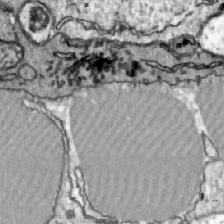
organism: Zebrafish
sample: Actinotrichia fibers